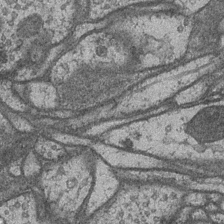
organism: Drosophila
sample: Optic medulla